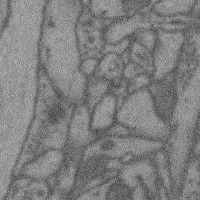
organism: Mouse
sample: Cerebral cortex